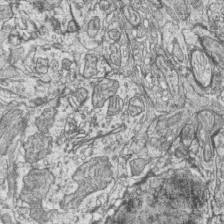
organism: Zebrafish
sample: synaptic ribbons in rod cells and cone cells